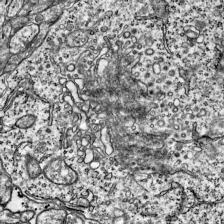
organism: Mouse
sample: Visual Cortex